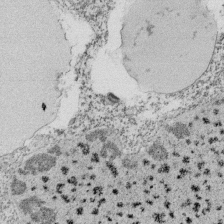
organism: Tetrahymena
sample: Cilia in tetrahymena